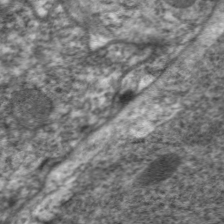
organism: C. elegans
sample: Pharynx